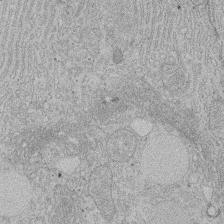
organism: Rat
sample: Salivary granule